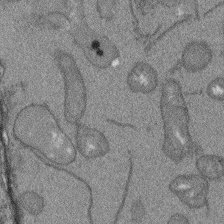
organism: Arabidopsis thaliana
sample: Root tip